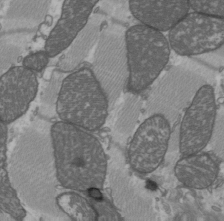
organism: C57BL Mouse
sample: Heart